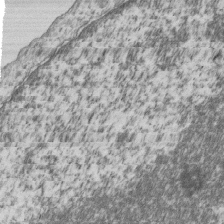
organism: Human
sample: MDA-MB-231 cells